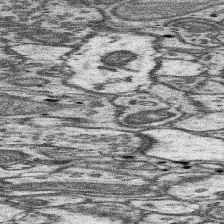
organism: Mouse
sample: Somatosensory cortex neuropil